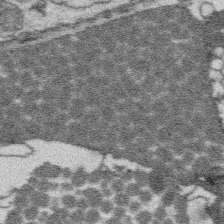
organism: Platynereis dumerilii